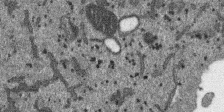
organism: Human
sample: Lung epithelial cells infected with SARS-CoV-2